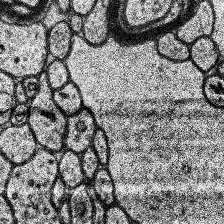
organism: Human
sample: Temporal Lobe